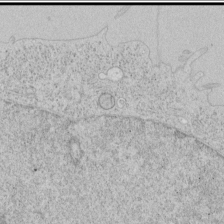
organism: Human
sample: Mitochondria in HCT116 cells